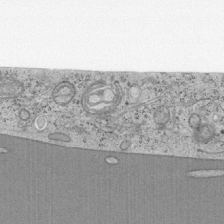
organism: Human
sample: HeLa cells